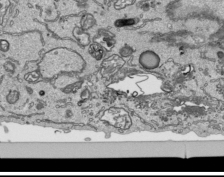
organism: Human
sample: Mitochondria in HCT116 cells